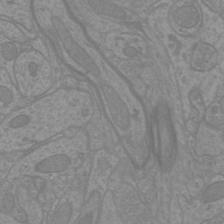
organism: Mouse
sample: Cortical neurons